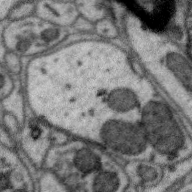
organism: Zebra finch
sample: Brain